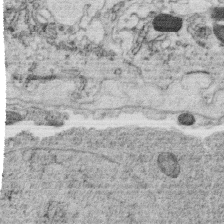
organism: C. elegans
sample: C. elegans oocyte; sperm cells